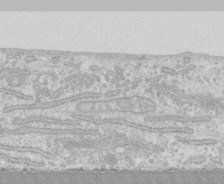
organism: Human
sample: CRL-1474